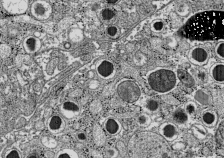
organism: C57BL Mouse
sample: Pancreatic islet